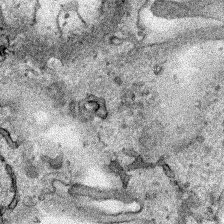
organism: Human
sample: Mitochondria in HCT116 cells